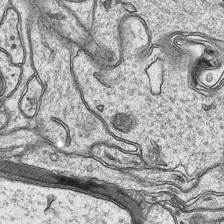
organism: Mouse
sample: CA1 Hippocampus